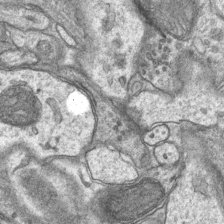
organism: Mouse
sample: CA1 Hippocampus